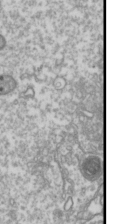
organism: Drosophila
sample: Cell division; meiosis; drosophila spermatocytes